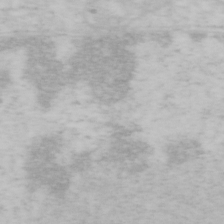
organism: Mouse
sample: OT-I killer T cells with ID8 ovarian cancer cells